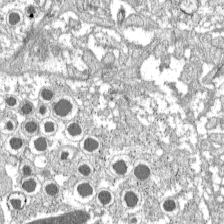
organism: C57BL Mouse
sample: Pancreatic islet